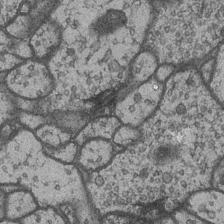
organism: Drosophila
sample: Optic medulla